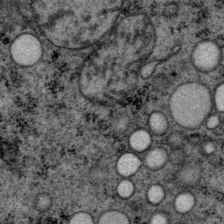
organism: P. pacificus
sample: Pharynx